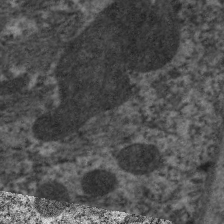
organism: C. elegans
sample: Pharynx